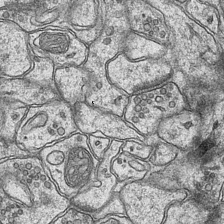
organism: Mouse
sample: CA1 Hippocampus